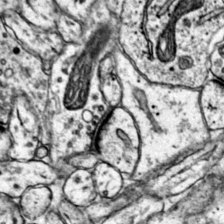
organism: Mouse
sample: Primary visual cortex